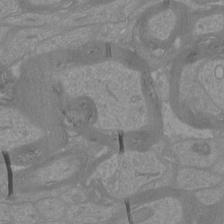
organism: Mouse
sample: Cortical neurons